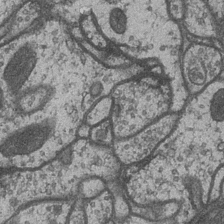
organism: Drosophila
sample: Optic medulla